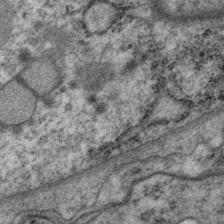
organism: P. pacificus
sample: Pharynx